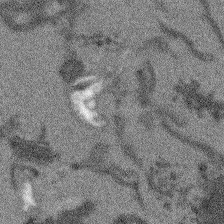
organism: Arabidopsis thaliana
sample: Root tip